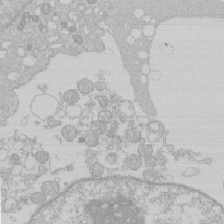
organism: Human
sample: Macrophage cells